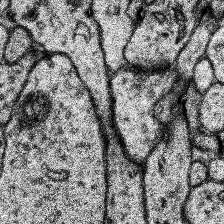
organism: Human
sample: Temporal Lobe